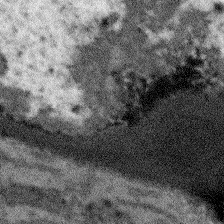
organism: Arabidopsis thaliana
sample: Root tip